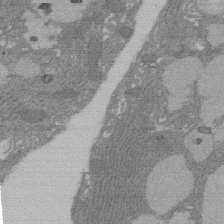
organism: Rat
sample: Salivary granule